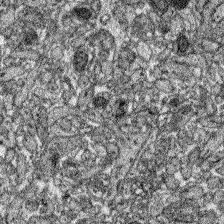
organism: Zebrafish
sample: Larval olfactory bulb